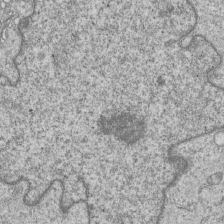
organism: Human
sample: MDA-MB-231 cells